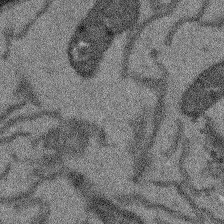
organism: Arabidopsis thaliana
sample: Root tip